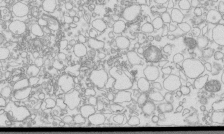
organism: Mouse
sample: Macrophages